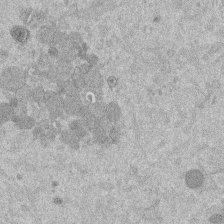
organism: Mouse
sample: Dividing mouse embryo 1 cell stage